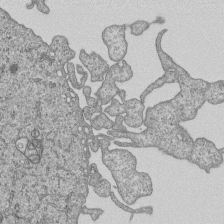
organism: Human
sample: MDA-MB-231 cells